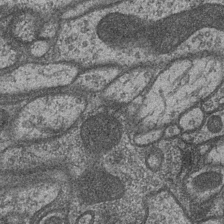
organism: Drosophila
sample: Optic medulla